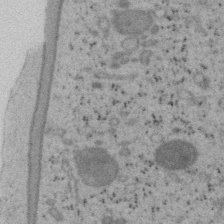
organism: Human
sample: HeLa cells